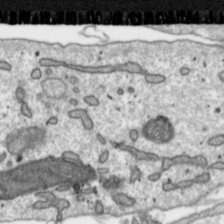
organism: Toxoplasma gondii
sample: Parasites in a vacuole inside a host cell